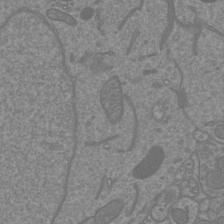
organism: Mouse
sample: Cortical neurons